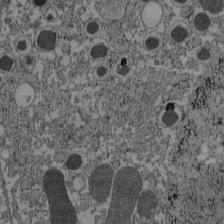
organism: C57BL Mouse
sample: Pancreatic islet